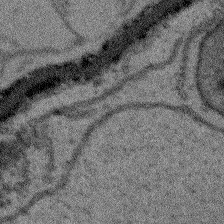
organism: Arabidopsis thaliana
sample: Root tip